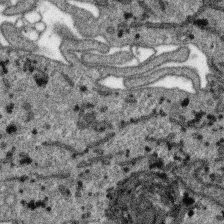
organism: Human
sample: Lung epithelial cells infected with SARS-CoV-2